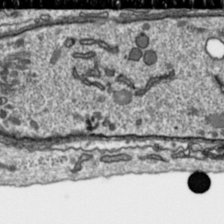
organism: Toxoplasma gondii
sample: Parasites in a vacuole inside a host cell